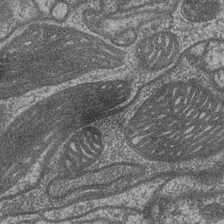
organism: Drosophila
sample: Optic medulla